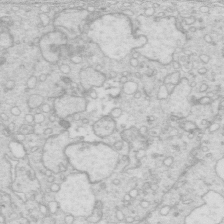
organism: Mouse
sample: Multiciliated cells